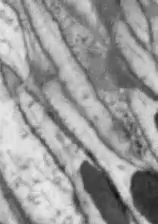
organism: Drosophila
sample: Optic lobe